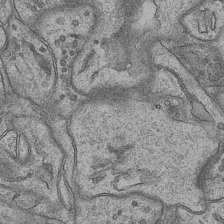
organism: Mouse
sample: CA1 Hippocampus